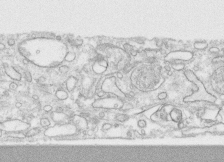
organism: Human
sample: CRL-1474